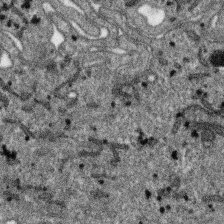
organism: Human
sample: Lung epithelial cells infected with SARS-CoV-2